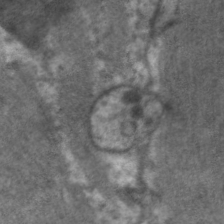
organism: C. elegans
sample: Pharynx